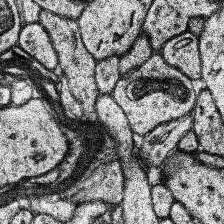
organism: Human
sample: Temporal Lobe